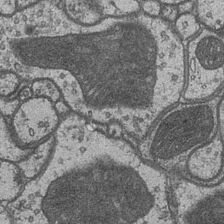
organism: Drosophila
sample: Optic medulla